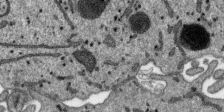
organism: Human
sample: Lung epithelial cells, uninfected (mock) control